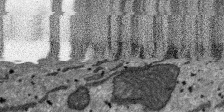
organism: Human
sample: Lung epithelial cells, uninfected (mock) control